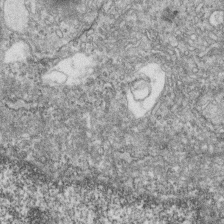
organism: Zebrafish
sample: Cilia; retinal pigment epithelium